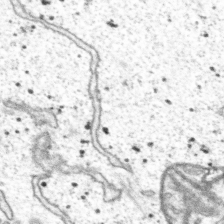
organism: Human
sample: HeLa cells